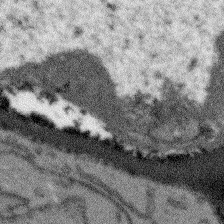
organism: Arabidopsis thaliana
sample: Root tip